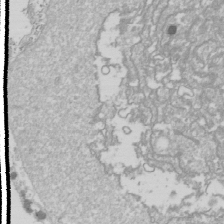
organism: Drosophila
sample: Cell division; meiosis; drosophila spermatocytes